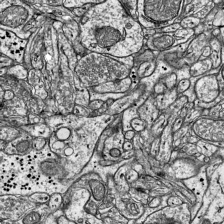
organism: Mouse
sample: Visual Cortex